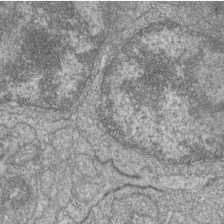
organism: Zebrafish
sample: Cilia; retinal pigment epithelium